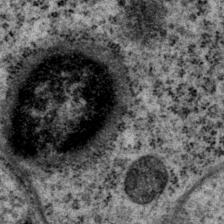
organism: P. pacificus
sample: Pharynx